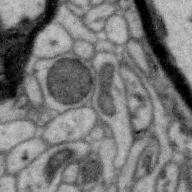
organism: Zebra finch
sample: Brain